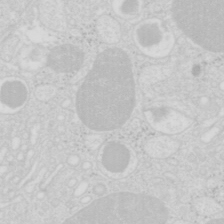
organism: Mouse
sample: Pancreas